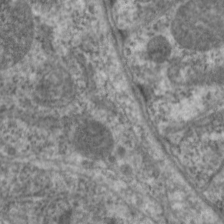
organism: C. elegans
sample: Pharynx